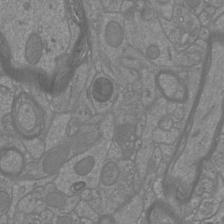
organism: Mouse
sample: Cortical neurons